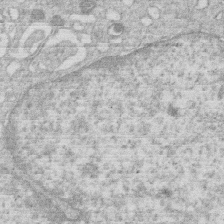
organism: Human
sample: Macrophage cells